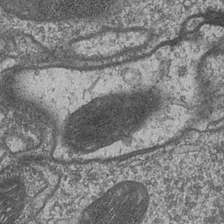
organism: Drosophila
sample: Optic medulla